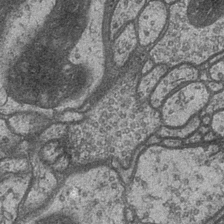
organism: Drosophila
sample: Optic medulla